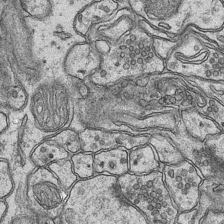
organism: Mouse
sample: CA1 Hippocampus